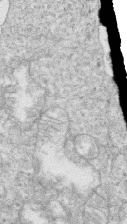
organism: Human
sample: HeLa cell HIV synapse